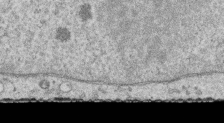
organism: Human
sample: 1205lu cells